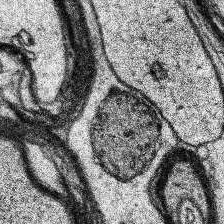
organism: Human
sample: Temporal Lobe